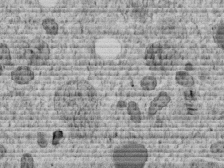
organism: C. elegans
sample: C. elegans embryo early stage